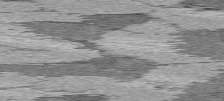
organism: C57BL Mouse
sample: Heart